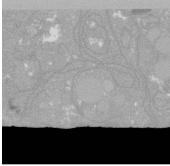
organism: C. elegans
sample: C. elegans oocyte; sperm cells